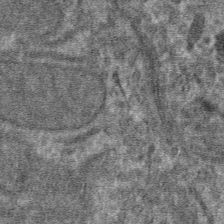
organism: Mouse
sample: Mouse hepatocytes